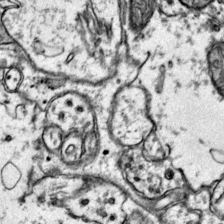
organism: Mouse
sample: Primary visual cortex